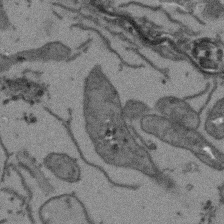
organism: Arabidopsis thaliana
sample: Root tip